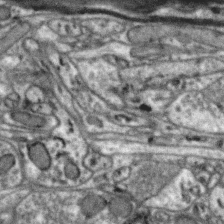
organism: Zebra finch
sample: Brain